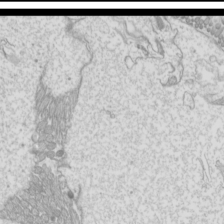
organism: Mouse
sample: Cilia; mouse epididymis